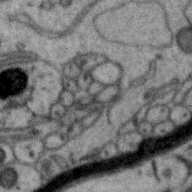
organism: Zebra finch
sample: Brain